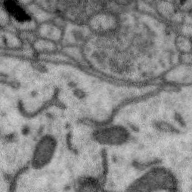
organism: Zebra finch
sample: Brain